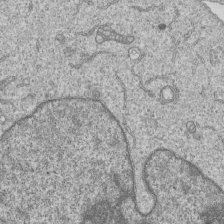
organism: Human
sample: MDA-MB-231 cells